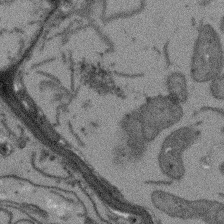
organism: Arabidopsis thaliana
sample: Root tip